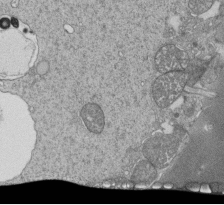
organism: Tetrahymena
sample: Cilia in tetrahymena